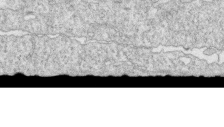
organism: Human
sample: HeLa cell HIV synapse